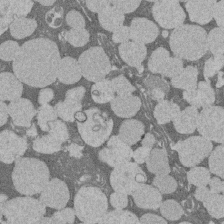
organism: Rat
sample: Salivary granule